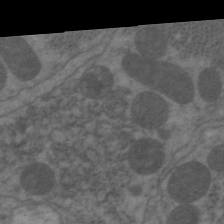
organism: C. elegans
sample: Pharynx